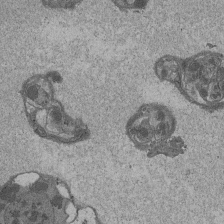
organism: Drosophila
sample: Antenna